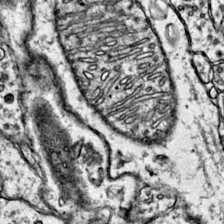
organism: Mouse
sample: Primary visual cortex